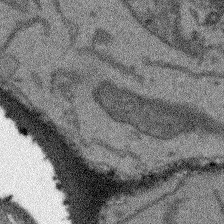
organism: Arabidopsis thaliana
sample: Root tip